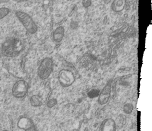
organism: Human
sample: MDA-MB-231 cells